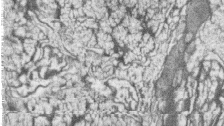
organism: Zebrafish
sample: synaptic ribbons in rod cells and cone cells